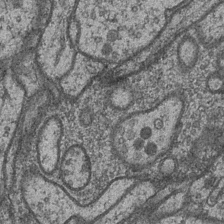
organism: Drosophila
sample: Optic medulla